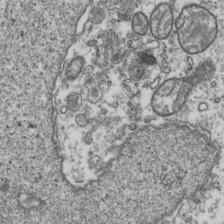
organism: Human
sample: Activated Jurkat CD4+ T cells